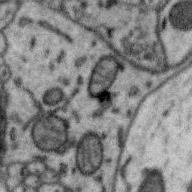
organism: Zebra finch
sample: Brain